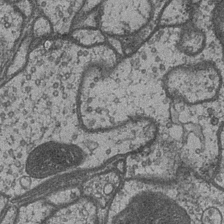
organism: Drosophila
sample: Optic medulla